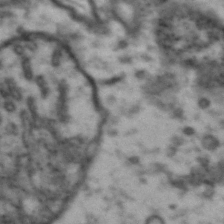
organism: Drosophila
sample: Brain